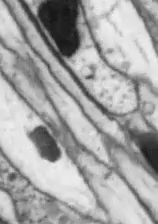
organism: Drosophila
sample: Optic lobe